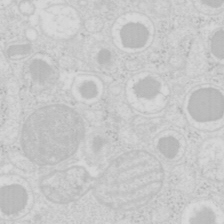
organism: Mouse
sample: Pancreas